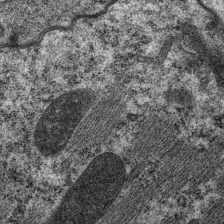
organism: C. elegans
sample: Pharynx